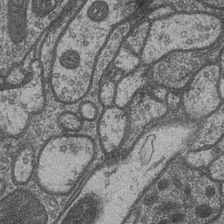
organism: Drosophila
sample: Optic medulla